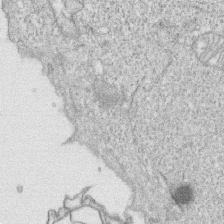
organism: Human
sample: HeLa cell HIV synapse